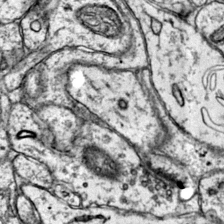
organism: Mouse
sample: Primary visual cortex